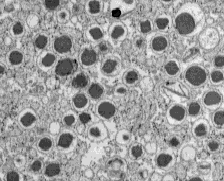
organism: C57BL Mouse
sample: Pancreatic islet